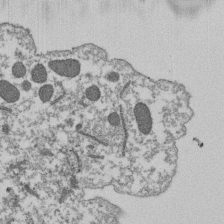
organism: Dictyostelium discoideum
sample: Dictyostelium multivesicular bodies